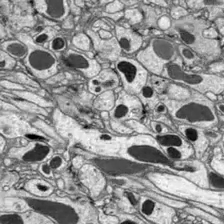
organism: Drosophila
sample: Optic lobe